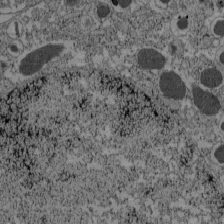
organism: C57BL Mouse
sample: Pancreatic islet